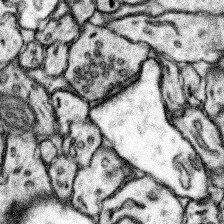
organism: Mouse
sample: Somatosensory cortex neuropil